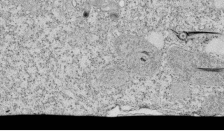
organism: Tetrahymena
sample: Cilia in tetrahymena